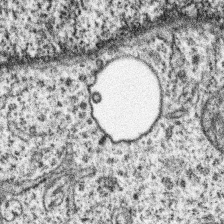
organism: Human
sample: HeLa cells